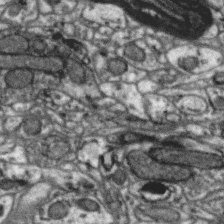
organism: Zebra finch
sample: Brain